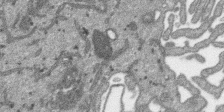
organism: Human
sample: Lung epithelial cells infected with SARS-CoV-2